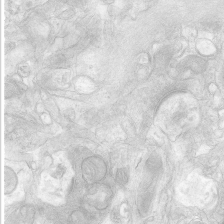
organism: Human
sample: Neocortex